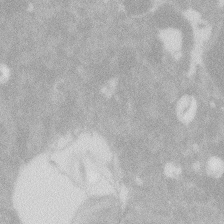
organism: Zebrafish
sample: Macrophage